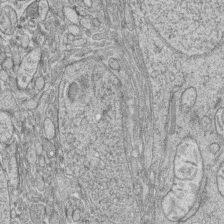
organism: Zebrafish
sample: synaptic ribbons in rod cells and cone cells